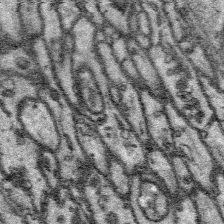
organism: Platynereis dumerilii